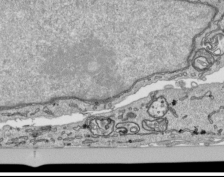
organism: Human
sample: Mitochondria in HCT116 cells